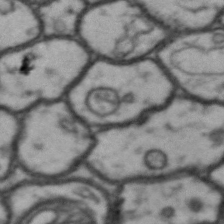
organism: Drosophila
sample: Brain